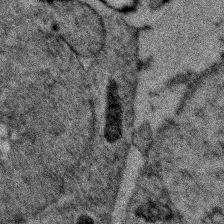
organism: Zebrafish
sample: Zebrafish embryo